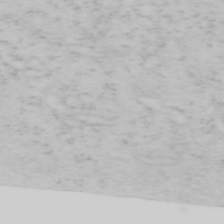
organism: Mouse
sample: OT-I killer T cells with ID8 ovarian cancer cells